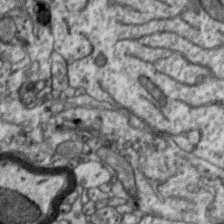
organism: Zebra finch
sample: Brain